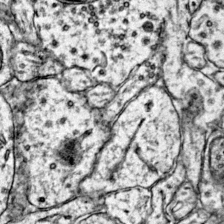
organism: Mouse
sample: Primary visual cortex